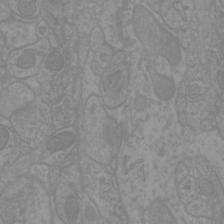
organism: Mouse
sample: Cortical neurons